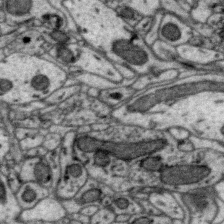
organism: Zebra finch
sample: Brain